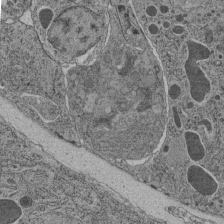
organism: C. elegans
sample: C. elegans pharynx